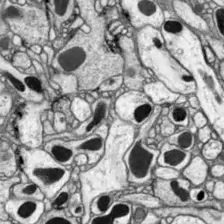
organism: Drosophila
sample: Optic lobe